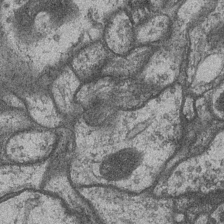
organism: Drosophila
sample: Optic medulla